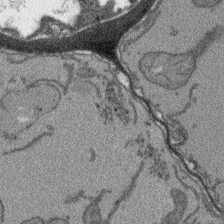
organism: Arabidopsis thaliana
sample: Root tip